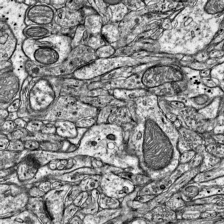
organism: Mouse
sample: Visual Cortex